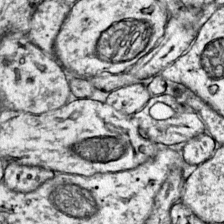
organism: Mouse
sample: Primary visual cortex